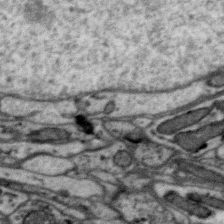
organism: Zebra finch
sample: Brain